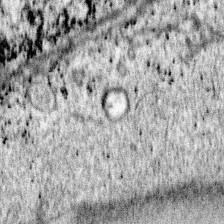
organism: Human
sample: HeLa cells